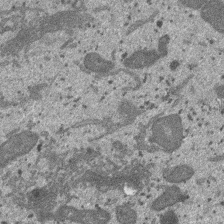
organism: Human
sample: Lung epithelial cells infected with SARS-CoV-2